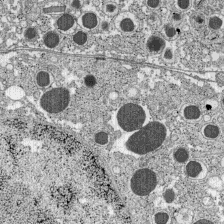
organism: C57BL Mouse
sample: Pancreatic islet